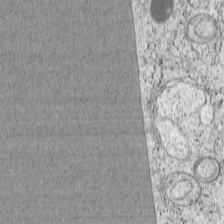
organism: African green monkey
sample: COS-7 cells